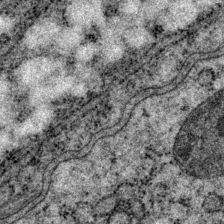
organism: P. pacificus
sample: Pharynx